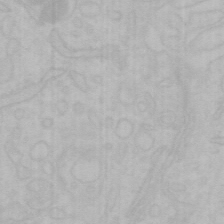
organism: Mouse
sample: Choroid plexus